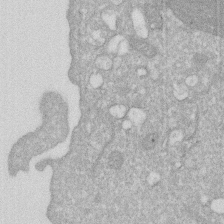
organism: Human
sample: HIV infected U937 cells